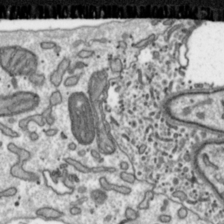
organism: Toxoplasma gondii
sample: Parasites in a vacuole inside a host cell